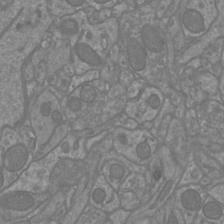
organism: Mouse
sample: Cortical neurons